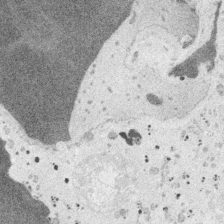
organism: Embia sp.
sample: Silk gland